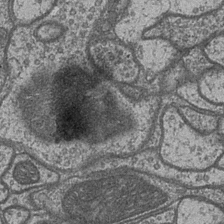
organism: Drosophila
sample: Optic medulla